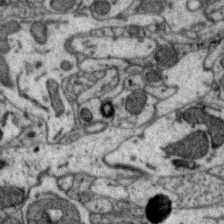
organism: Zebra finch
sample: Brain